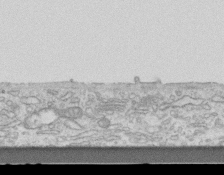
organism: Mouse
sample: Centriole in ependymal cells